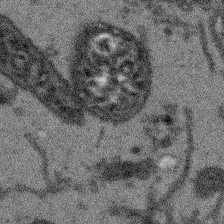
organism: Arabidopsis thaliana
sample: Root tip